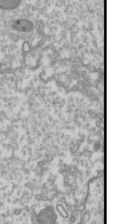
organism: Drosophila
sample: Cell division; meiosis; drosophila spermatocytes